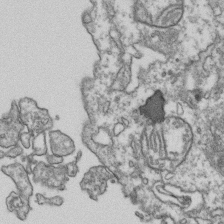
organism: Human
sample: Activated Jurkat CD4+ T cells